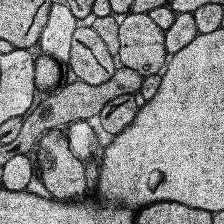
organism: Human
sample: Temporal Lobe